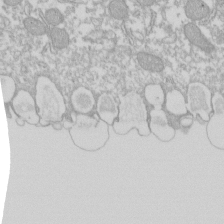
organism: Xenopus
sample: Cilia; centrioles in frog embryo cells